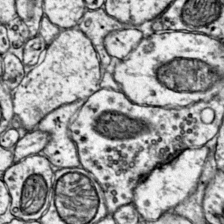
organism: Mouse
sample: Primary visual cortex